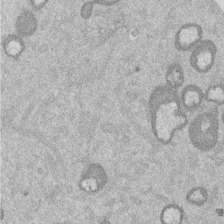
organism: Mouse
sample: Dividing mouse embryo 1 cell stage